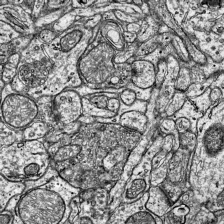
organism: Mouse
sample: Visual Cortex